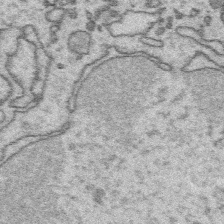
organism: Platynereis dumerilii